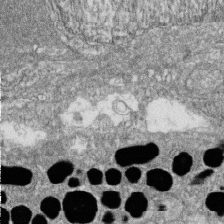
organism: Zebrafish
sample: Cilia; retinal pigment epithelium